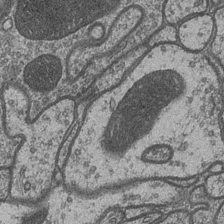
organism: Drosophila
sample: Optic medulla